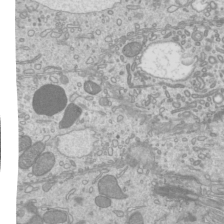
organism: Mouse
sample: Cilia; mouse epididymis